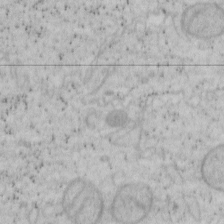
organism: Human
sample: HeLa cells